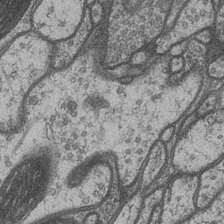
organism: Drosophila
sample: Optic medulla